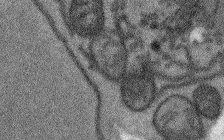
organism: Arabidopsis thaliana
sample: Root tip